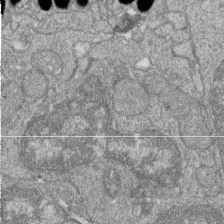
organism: Zebrafish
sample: Cilia; retinal pigment epithelium